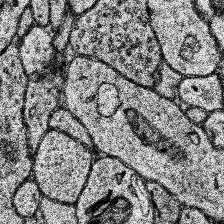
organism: Human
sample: Temporal Lobe